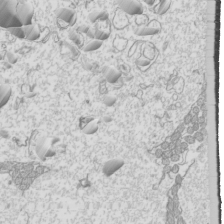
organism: Mouse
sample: Cilia; mouse epididymis